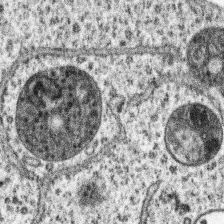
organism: Human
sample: HeLa cells